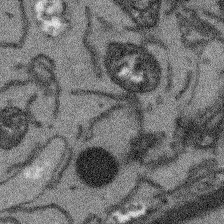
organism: Arabidopsis thaliana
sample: Root tip